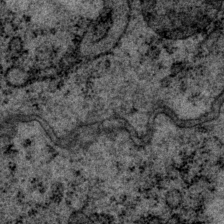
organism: P. pacificus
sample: Pharynx